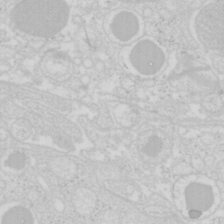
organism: Mouse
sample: Pancreas